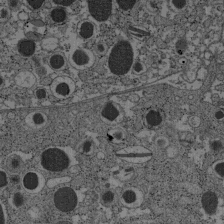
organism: C57BL Mouse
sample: Pancreatic islet